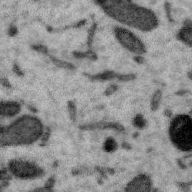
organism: Zebra finch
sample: Brain